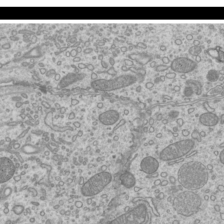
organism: Mouse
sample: Cilia; mouse epididymis